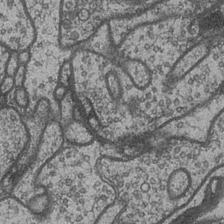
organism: Drosophila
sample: Optic medulla